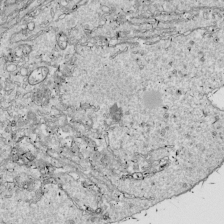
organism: Drosophila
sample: Cell division; meiosis; drosophila spermatocytes